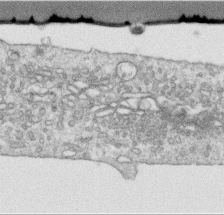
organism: Human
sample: Centriole in RPE cells